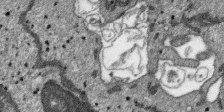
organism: Human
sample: Lung epithelial cells, uninfected (mock) control